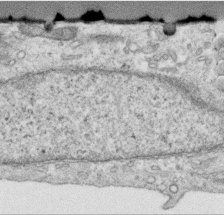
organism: Human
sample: Centriole in RPE cells